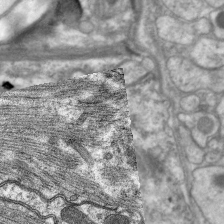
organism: C. elegans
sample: Pharynx